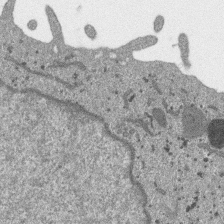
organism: Human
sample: Lung epithelial cells infected with SARS-CoV-2